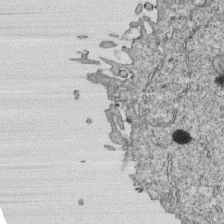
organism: Human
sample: HeLa cell HIV synapse